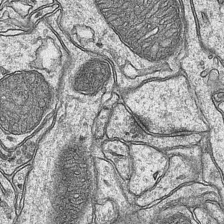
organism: Mouse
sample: CA1 Hippocampus